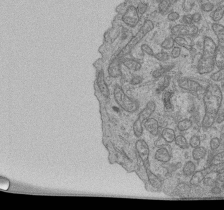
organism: Human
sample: Retinal organoid Rod and Cone cells